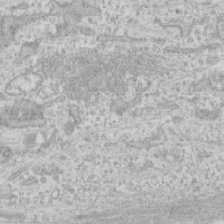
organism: Human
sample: CRL-1474